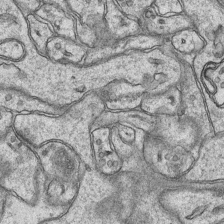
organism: Mouse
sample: CA1 Hippocampus